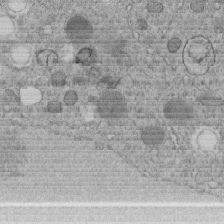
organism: C. elegans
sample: C. elegans embryo early stage